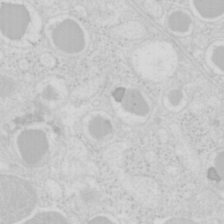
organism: Mouse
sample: Pancreas